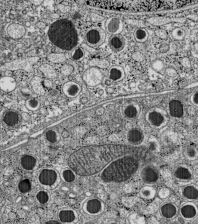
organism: C57BL Mouse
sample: Pancreatic islet